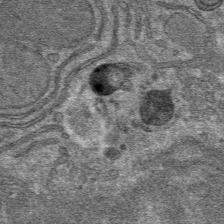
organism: Mouse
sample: Mouse hepatocytes